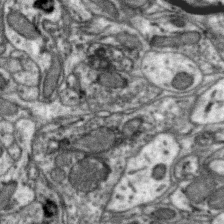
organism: Zebra finch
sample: Brain